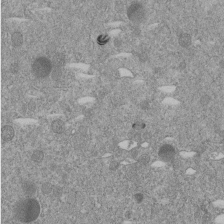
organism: C. elegans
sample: C. elegans embryo early stage